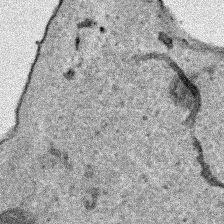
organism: Human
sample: Mitochondria in HCT116 cells